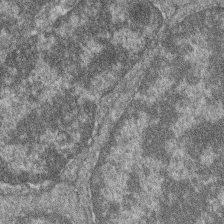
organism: Zebrafish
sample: Cilia; retinal pigment epithelium